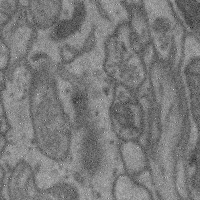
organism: Mouse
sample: Cerebral cortex